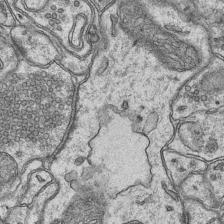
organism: Mouse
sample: CA1 Hippocampus